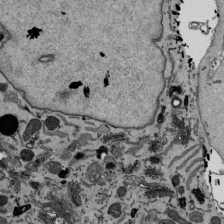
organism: Mouse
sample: ED-1 cell nuclei; centrioles